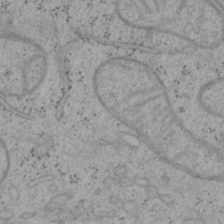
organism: Human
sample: HeLa cells